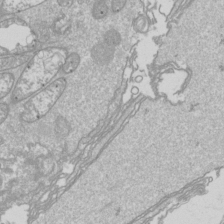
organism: Drosophila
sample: Cell division; meiosis; drosophila spermatocytes